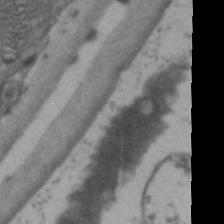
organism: C. elegans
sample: Pharynx